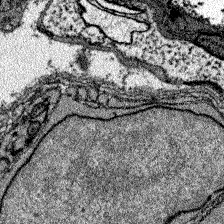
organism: Zebrafish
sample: Larval olfactory bulb